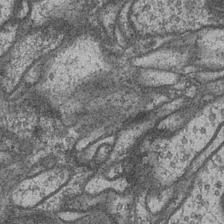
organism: Drosophila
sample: Optic medulla